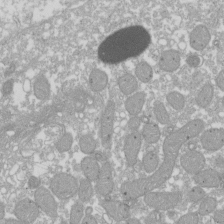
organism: Xenopus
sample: Cilia; centrioles in frog embryo cells